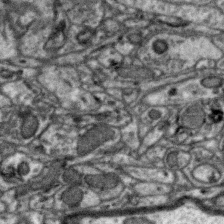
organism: Zebra finch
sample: Brain